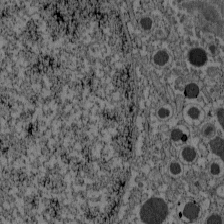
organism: C57BL Mouse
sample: Pancreatic islet